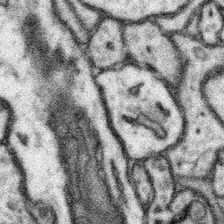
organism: Mouse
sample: Somatosensory cortex neuropil